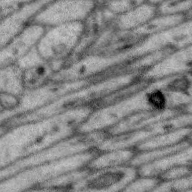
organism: Zebra finch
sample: Brain